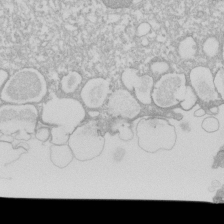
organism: Xenopus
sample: Cilia; centrioles in frog embryo cells